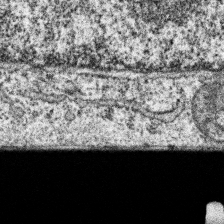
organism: Human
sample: HeLa cells